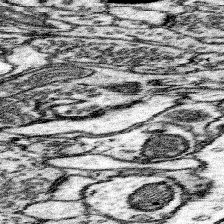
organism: Mouse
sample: Somatosensory cortex neuropil